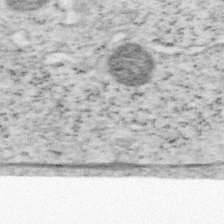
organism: Mouse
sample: OT-I killer T cells with ID8 ovarian cancer cells